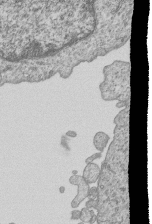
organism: Human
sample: MDA-MB-231 cells